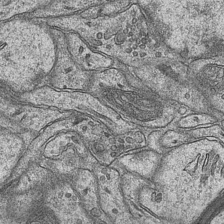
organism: Mouse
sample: CA1 Hippocampus